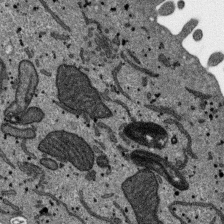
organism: Human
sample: Lung epithelial cells, uninfected (mock) control